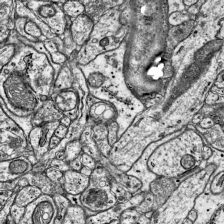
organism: Mouse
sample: Visual Cortex